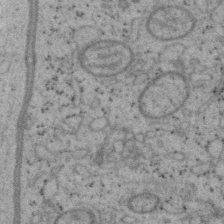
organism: Human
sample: HeLa cells